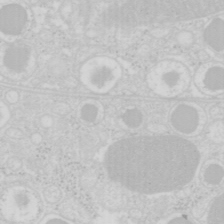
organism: Mouse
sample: Pancreas